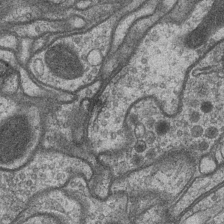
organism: Drosophila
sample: Optic medulla